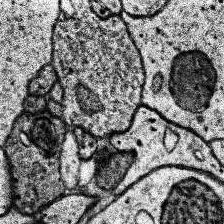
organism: Human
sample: Temporal Lobe